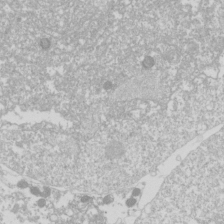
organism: Drosophila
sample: Cell division; meiosis; drosophila spermatocytes